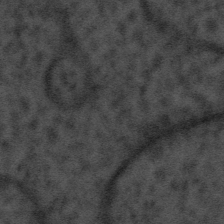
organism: Tuwongella immobilis